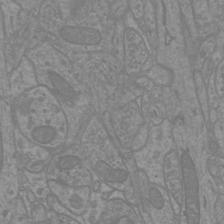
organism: Mouse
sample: Cortical neurons